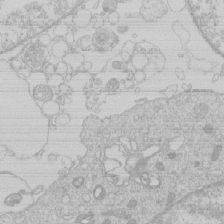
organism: Human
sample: Macrophage cells